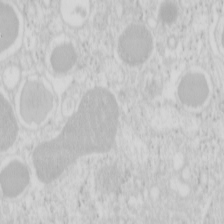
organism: Mouse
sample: Pancreas